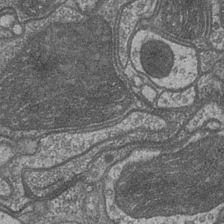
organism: Drosophila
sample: Optic medulla